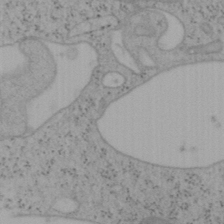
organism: Mouse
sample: OT-I killer T cells with ID8 ovarian cancer cells